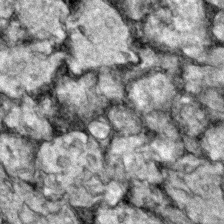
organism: Zebrafish